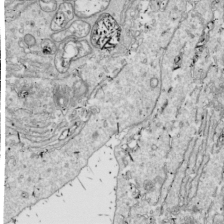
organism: Drosophila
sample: Cell division; meiosis; drosophila spermatocytes